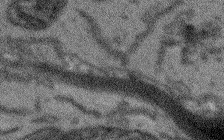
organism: Arabidopsis thaliana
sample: Root tip